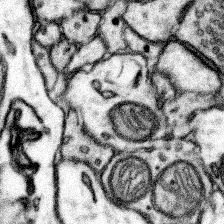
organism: Mouse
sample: Somatosensory cortex neuropil